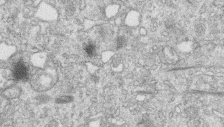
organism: Human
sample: HeLa cell HIV synapse